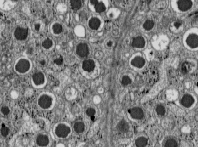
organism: C57BL Mouse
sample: Pancreatic islet